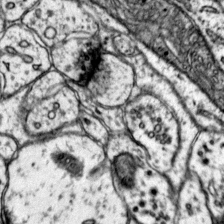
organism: Mouse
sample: Primary visual cortex